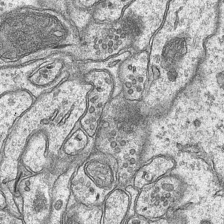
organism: Mouse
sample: CA1 Hippocampus